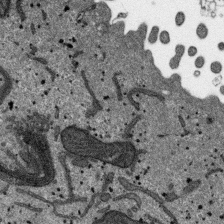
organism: Human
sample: Lung epithelial cells, uninfected (mock) control